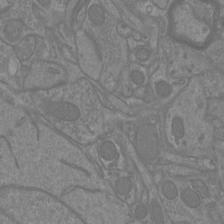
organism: Mouse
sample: Cortical neurons